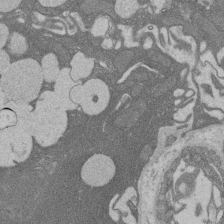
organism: Rat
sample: Salivary granule